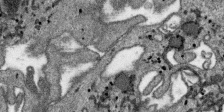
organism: Human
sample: Lung epithelial cells, uninfected (mock) control